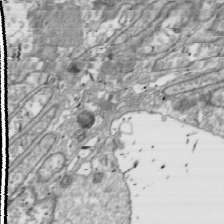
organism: Drosophila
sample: Cell division; meiosis; drosophila spermatocytes